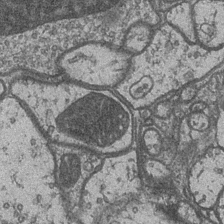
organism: Drosophila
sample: Optic medulla